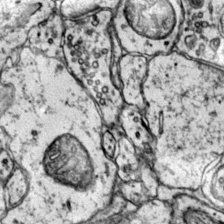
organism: Mouse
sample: Primary visual cortex